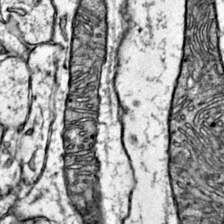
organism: Mouse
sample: Primary visual cortex